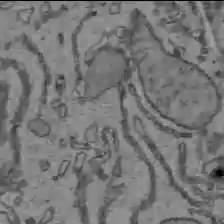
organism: C57BL Mouse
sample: Liver